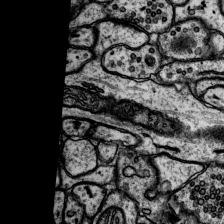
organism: Rat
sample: Hippocampus